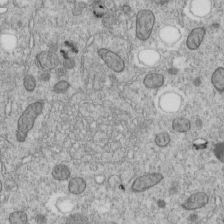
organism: C. elegans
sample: C. elegans embryo early stage